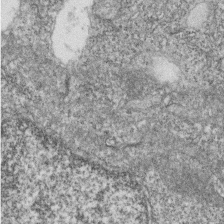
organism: Zebrafish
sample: Cilia; retinal pigment epithelium